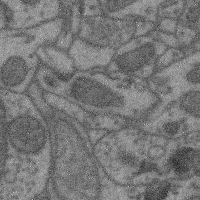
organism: Mouse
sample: Cerebral cortex